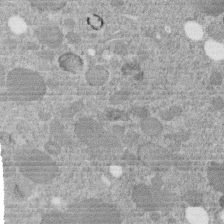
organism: C. elegans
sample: C. elegans embryo early stage